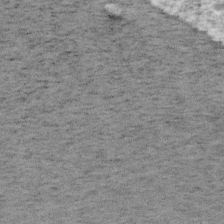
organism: Mouse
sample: OT-I killer T cells with ID8 ovarian cancer cells